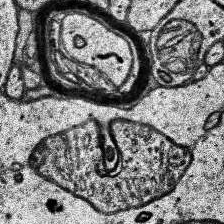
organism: Human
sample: Temporal Lobe